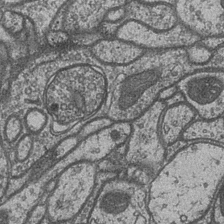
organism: Drosophila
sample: Optic medulla